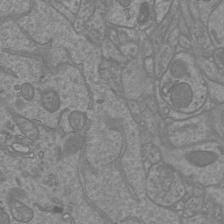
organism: Mouse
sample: Cortical neurons